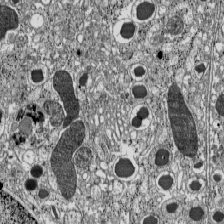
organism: C57BL Mouse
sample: Pancreatic islet